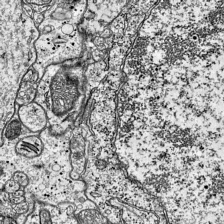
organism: Mouse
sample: Visual Cortex